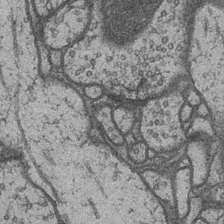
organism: Drosophila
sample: Optic medulla